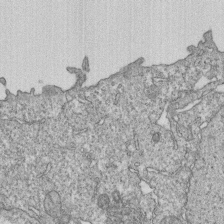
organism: Human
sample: HeLa cell HIV synapse